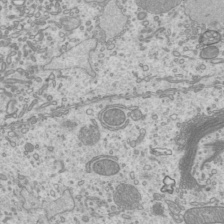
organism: Mouse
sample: Cilia; mouse epididymis